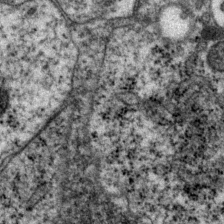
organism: P. pacificus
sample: Pharynx